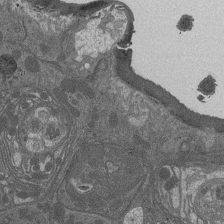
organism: Drosophila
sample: Antenna